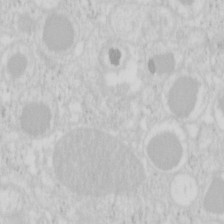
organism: Mouse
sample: Pancreas